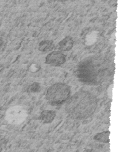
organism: C. elegans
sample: C. elegans embryo early stage